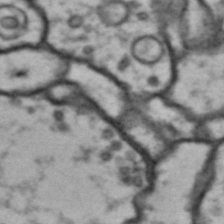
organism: Drosophila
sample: Brain